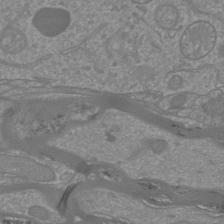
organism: Mouse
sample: Cortical neurons